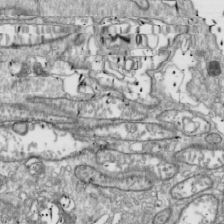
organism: Drosophila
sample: Cell division; meiosis; drosophila spermatocytes